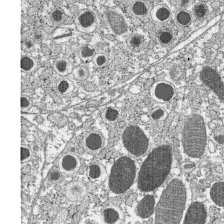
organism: C57BL Mouse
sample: Pancreatic islet